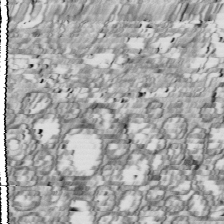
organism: Drosophila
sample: Cell division; meiosis; drosophila spermatocytes